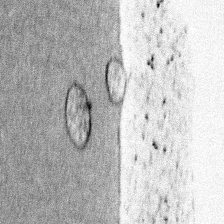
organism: Human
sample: HeLa cells